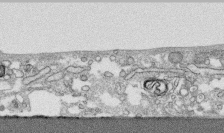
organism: Human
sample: CRL-1474